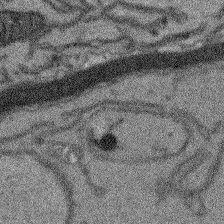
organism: Arabidopsis thaliana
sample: Root tip